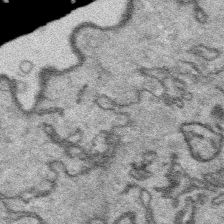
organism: Platynereis dumerilii